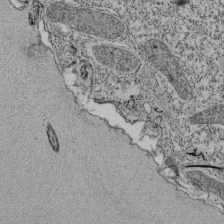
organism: Tetrahymena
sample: Cilia in tetrahymena